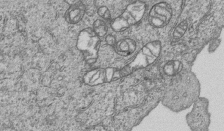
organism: Human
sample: MDA-MB-231 cells